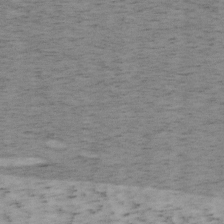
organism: Mouse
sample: OT-I killer T cells with ID8 ovarian cancer cells